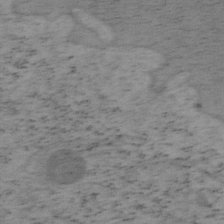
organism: Mouse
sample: OT-I killer T cells with ID8 ovarian cancer cells